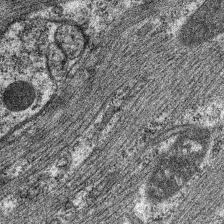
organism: C. elegans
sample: Pharynx